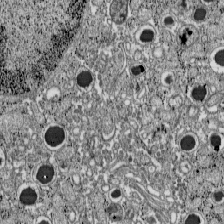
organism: C57BL Mouse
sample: Pancreatic islet